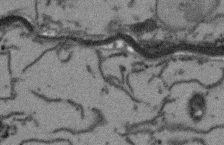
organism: Arabidopsis thaliana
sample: Root tip